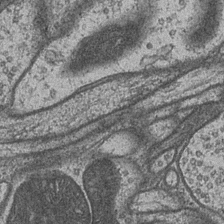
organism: Drosophila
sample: Optic medulla